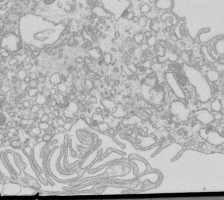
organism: Mouse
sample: Macrophages